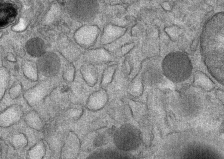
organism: Mouse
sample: Mouse Salivary gland